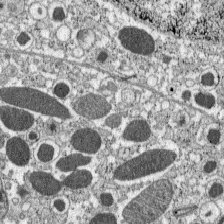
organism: C57BL Mouse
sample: Pancreatic islet